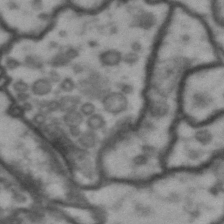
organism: Drosophila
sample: Brain